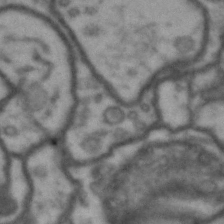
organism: Drosophila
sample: Brain